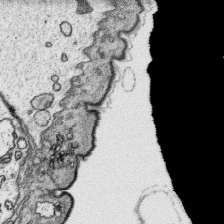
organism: Platynereis dumerilii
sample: Parapodia